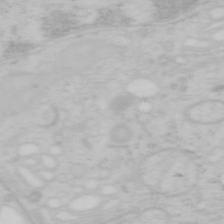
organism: Mouse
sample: OT-I killer T cells with ID8 ovarian cancer cells